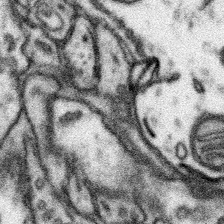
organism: Mouse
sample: Somatosensory cortex neuropil